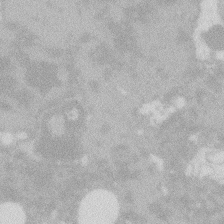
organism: Zebrafish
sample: Macrophage